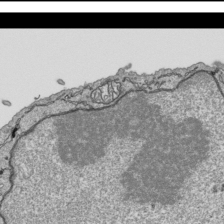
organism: Human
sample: Mitochondria in HCT116 cells